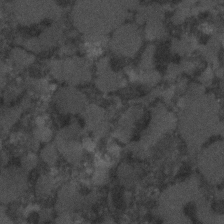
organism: C. elegans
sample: C. elegans embryo